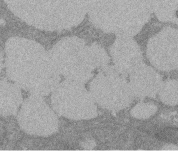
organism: Rat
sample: Salivary granule